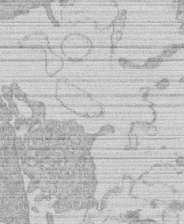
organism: Human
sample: Macrophage cells